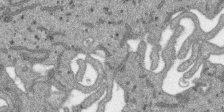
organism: Human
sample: Lung epithelial cells infected with SARS-CoV-2